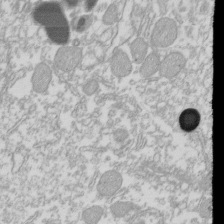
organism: Xenopus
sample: Cilia; centrioles in frog embryo cells